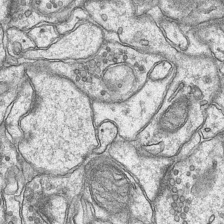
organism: Mouse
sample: CA1 Hippocampus